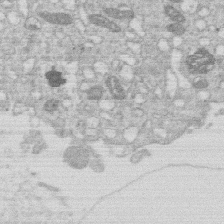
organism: Human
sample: Macrophage cells